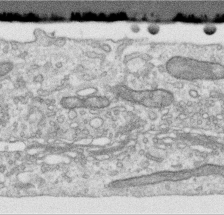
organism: Human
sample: Centriole in RPE cells